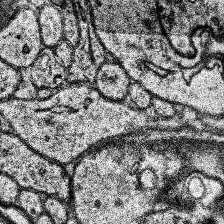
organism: Human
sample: Temporal Lobe